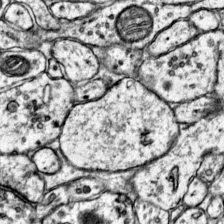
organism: Mouse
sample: Primary visual cortex